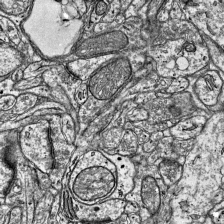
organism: Mouse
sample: Visual Cortex